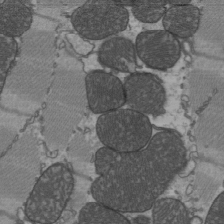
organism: C57BL Mouse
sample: Heart